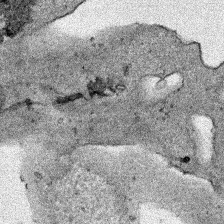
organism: Human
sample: Mitochondria in HCT116 cells